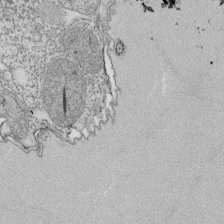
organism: Tetrahymena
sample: Cilia in tetrahymena